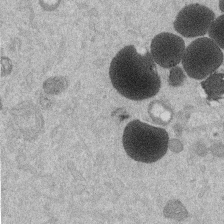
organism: Mouse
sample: Dividing mouse embryo 1 cell stage